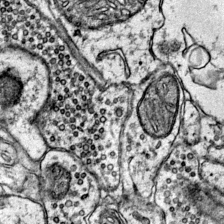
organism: Mouse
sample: Primary visual cortex